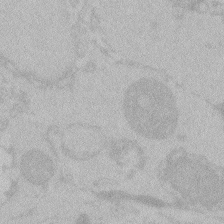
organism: Zebrafish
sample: Macrophage infected with Toxoplasma gondii